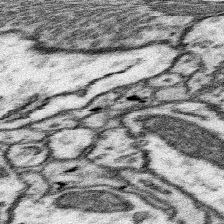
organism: Mouse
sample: Somatosensory cortex neuropil